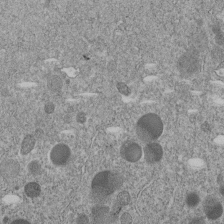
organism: C. elegans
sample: C. elegans embryo early stage